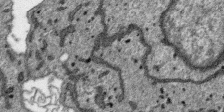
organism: Human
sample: Lung epithelial cells, uninfected (mock) control